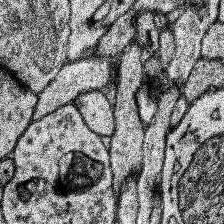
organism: Human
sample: Temporal Lobe